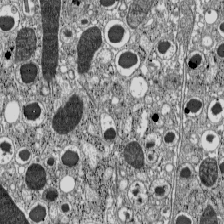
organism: C57BL Mouse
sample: Pancreatic islet